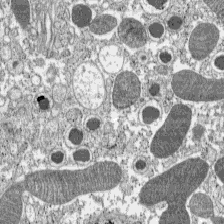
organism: C57BL Mouse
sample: Pancreatic islet